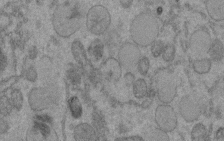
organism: C. elegans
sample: C. elegans embryo early stage